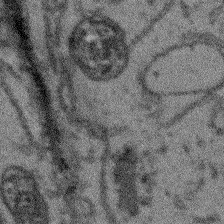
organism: Arabidopsis thaliana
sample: Root tip